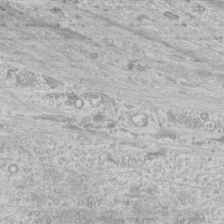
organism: Human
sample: CRL-1474